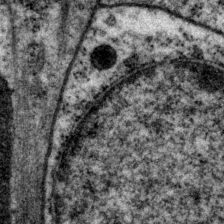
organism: P. pacificus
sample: Pharynx